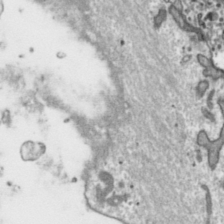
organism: Toxoplasma gondii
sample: Parasites in a vacuole inside a host cell